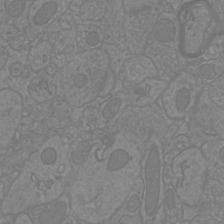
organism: Mouse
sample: Cortical neurons